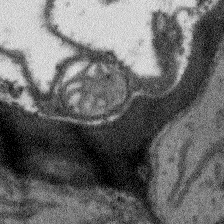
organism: Arabidopsis thaliana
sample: Root tip